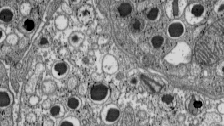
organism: C57BL Mouse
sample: Pancreatic islet